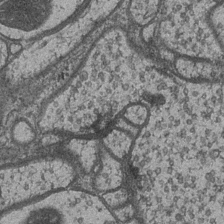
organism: Drosophila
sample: Optic medulla